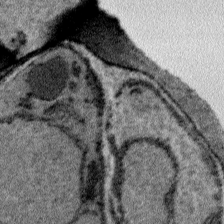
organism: Plasmodium falciparum